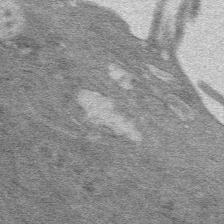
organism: Mouse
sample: Mouse hepatocytes